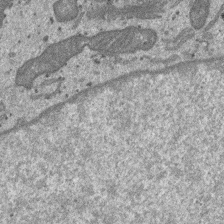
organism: Human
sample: Lung epithelial cells infected with SARS-CoV-2